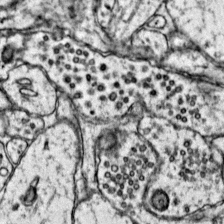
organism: Mouse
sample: Primary visual cortex